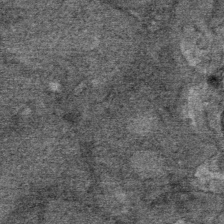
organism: Mouse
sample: Mouse Salivary gland